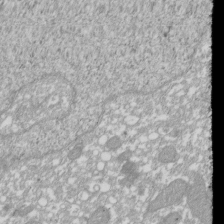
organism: Xenopus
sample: Cilia; centrioles in frog embryo cells